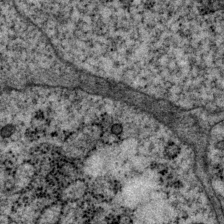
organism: P. pacificus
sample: Pharynx